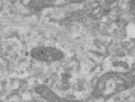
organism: Human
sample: Centriole in RPE cells